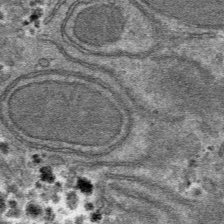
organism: Mouse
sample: Mouse hepatocytes